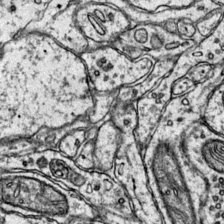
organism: Mouse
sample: Primary visual cortex